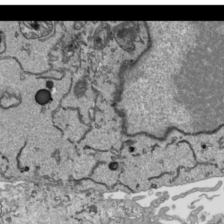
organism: Human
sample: Mitochondria in HCT116 cells